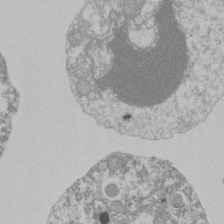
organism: Mouse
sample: Activated Pmel transgenic CD8+ T Cells